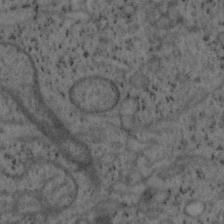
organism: Human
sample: HeLa cells